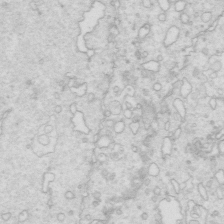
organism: Mouse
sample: Multiciliated cells